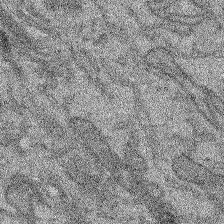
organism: Human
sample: HeLa cells